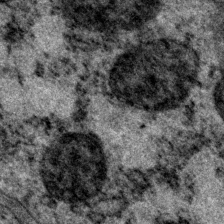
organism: P. pacificus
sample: Pharynx